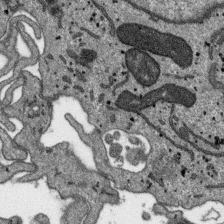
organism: Human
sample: Lung epithelial cells, uninfected (mock) control